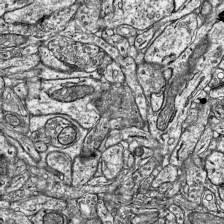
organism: Mouse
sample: Visual Cortex